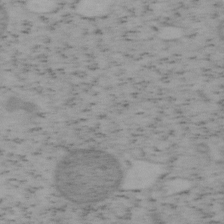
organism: Mouse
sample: OT-I killer T cells with ID8 ovarian cancer cells